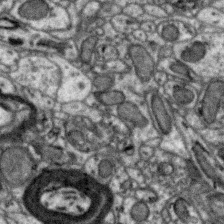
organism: Zebra finch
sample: Brain